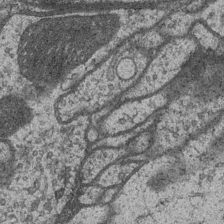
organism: Drosophila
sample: Optic medulla